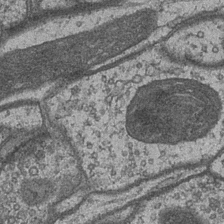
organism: Drosophila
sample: Optic medulla